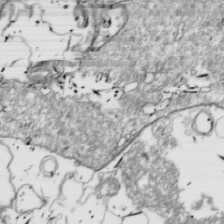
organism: Drosophila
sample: Cell division; meiosis; drosophila spermatocytes